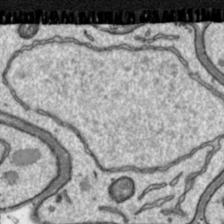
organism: Toxoplasma gondii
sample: Parasites in a vacuole inside a host cell